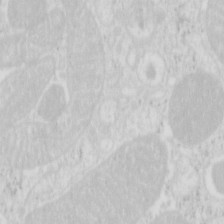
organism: Mouse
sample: Pancreas